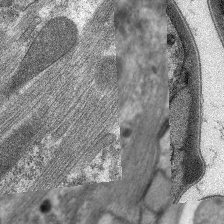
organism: C. elegans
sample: Pharynx